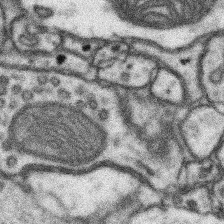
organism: Mouse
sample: Somatosensory cortex neuropil